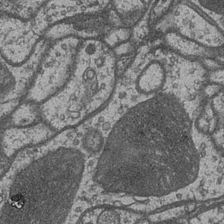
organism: Drosophila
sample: Optic medulla